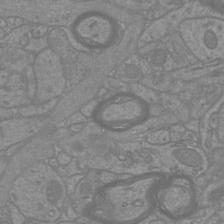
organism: Mouse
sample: Cortical neurons